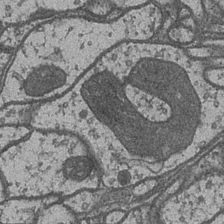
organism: Drosophila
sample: Optic medulla